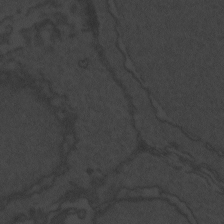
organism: Zebrafish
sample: Macrophage infected with Toxoplasma gondii